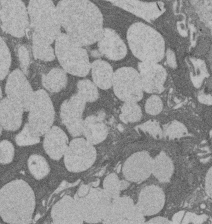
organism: Rat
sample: Salivary granule